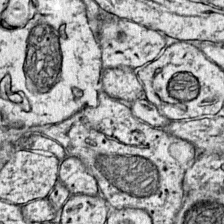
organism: Mouse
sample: Primary visual cortex